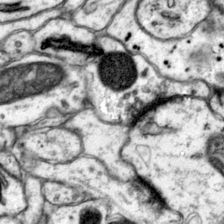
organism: Mouse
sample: Primary visual cortex